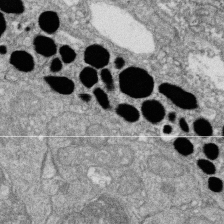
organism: Zebrafish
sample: Cilia; retinal pigment epithelium